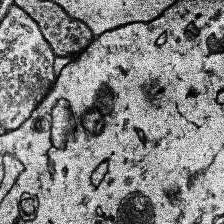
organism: Human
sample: Temporal Lobe